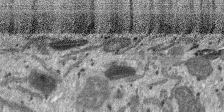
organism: Human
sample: Lung epithelial cells infected with SARS-CoV-2